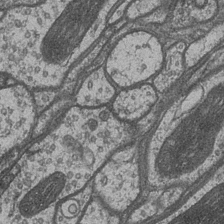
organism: Drosophila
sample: Optic medulla